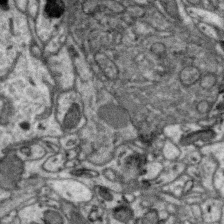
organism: Zebra finch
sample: Brain